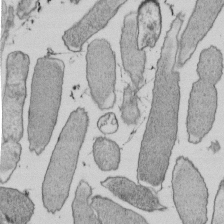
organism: E. coli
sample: Bacterial nucleoid